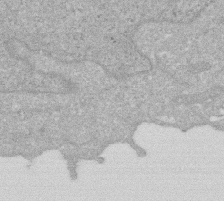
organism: Human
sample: HIV infected U937 cells